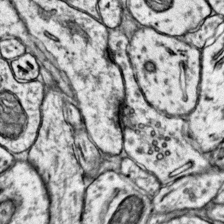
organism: Mouse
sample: Primary visual cortex